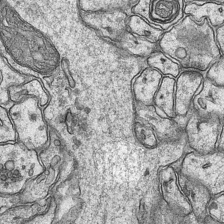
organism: Mouse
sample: CA1 Hippocampus